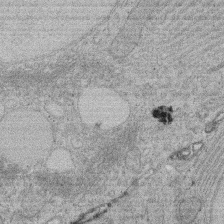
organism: Rat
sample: Salivary granule